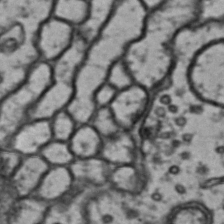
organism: Drosophila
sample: Brain